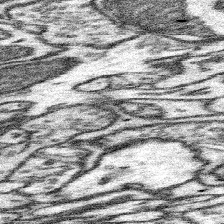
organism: Mouse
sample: Somatosensory cortex neuropil